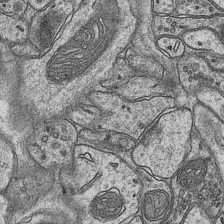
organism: Mouse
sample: CA1 Hippocampus